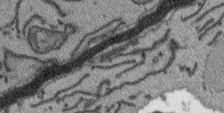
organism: Arabidopsis thaliana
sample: Root tip